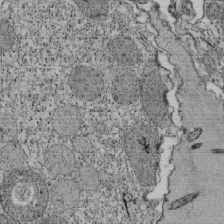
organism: Tetrahymena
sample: Cilia in tetrahymena